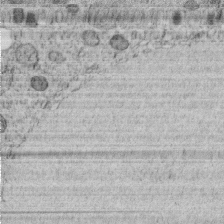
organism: C. elegans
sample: C. elegans embryo early stage